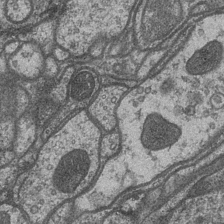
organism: Drosophila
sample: Optic medulla